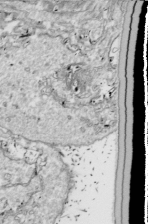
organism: Drosophila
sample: Cell division; meiosis; drosophila spermatocytes